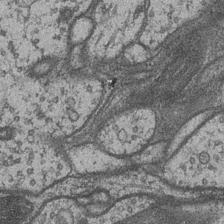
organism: Drosophila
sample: Optic medulla